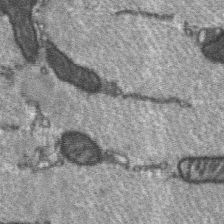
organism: C57BL Mouse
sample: Soleus